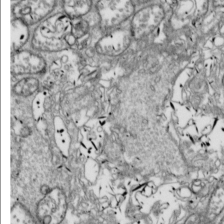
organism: Drosophila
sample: Cell division; meiosis; drosophila spermatocytes